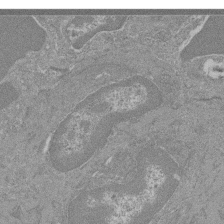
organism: Mouse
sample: Glomerulus